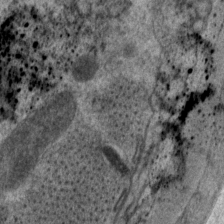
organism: P. pacificus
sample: Pharynx